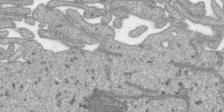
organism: Human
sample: Lung epithelial cells infected with SARS-CoV-2